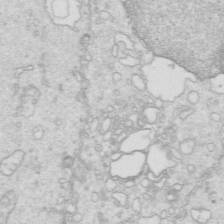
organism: Mouse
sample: Multiciliated cells